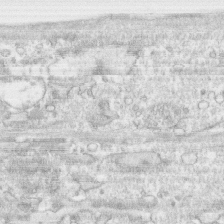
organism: Human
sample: CRL-1474